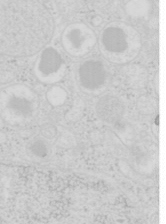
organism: Mouse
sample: Pancreas